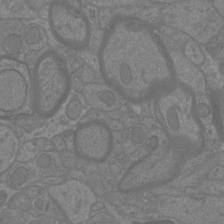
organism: Mouse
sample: Cortical neurons